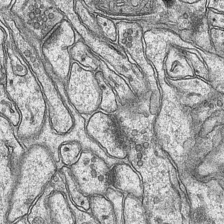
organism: Mouse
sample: CA1 Hippocampus